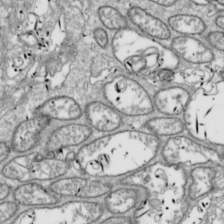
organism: Drosophila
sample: Cell division; meiosis; drosophila spermatocytes